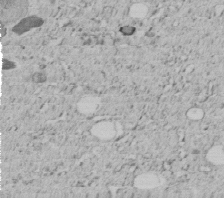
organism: C. elegans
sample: C. elegans embryo early stage